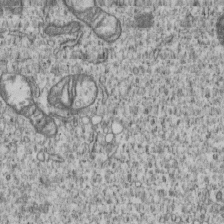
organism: Human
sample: MDA-MB-231 cells